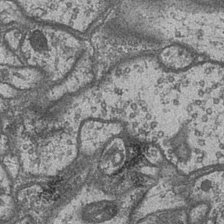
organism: Drosophila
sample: Optic medulla